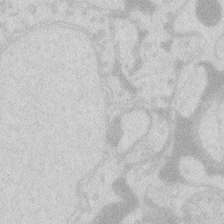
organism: Zebrafish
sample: Macrophage